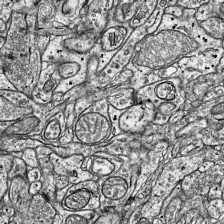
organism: Mouse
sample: Visual Cortex